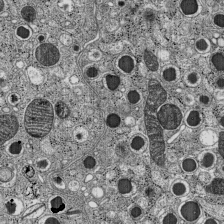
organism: C57BL Mouse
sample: Pancreatic islet